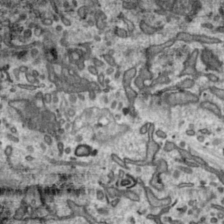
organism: Toxoplasma gondii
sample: Parasites in a vacuole inside a host cell